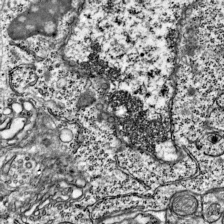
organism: Mouse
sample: Visual Cortex